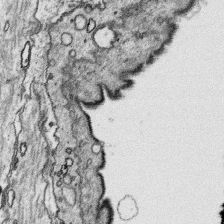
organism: Platynereis dumerilii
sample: Parapodia